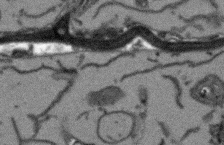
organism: Arabidopsis thaliana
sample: Root tip